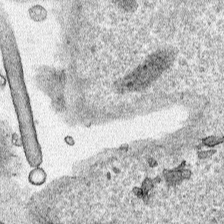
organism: Human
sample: Mitochondria in HCT116 cells